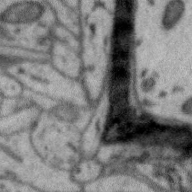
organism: Zebra finch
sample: Brain